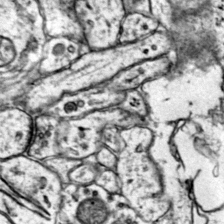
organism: Mouse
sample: Primary visual cortex